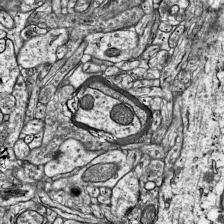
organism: Mouse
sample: Visual Cortex